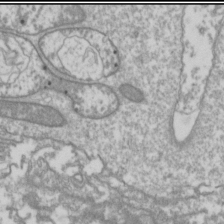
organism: Drosophila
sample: Cell division; meiosis; drosophila spermatocytes